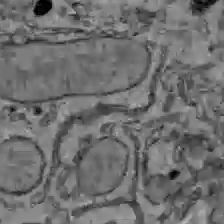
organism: C57BL Mouse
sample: Liver